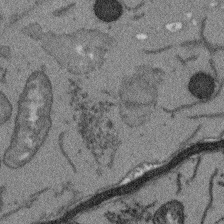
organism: Arabidopsis thaliana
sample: Root tip